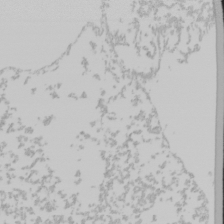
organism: Mouse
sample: Cancer cell death in ED-1 cells